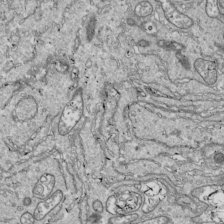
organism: Drosophila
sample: Cell division; meiosis; drosophila spermatocytes